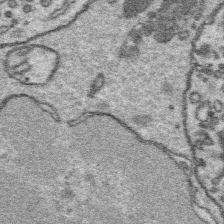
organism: Platynereis dumerilii